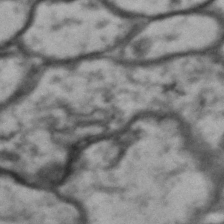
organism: Drosophila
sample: Brain